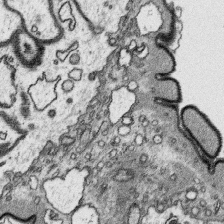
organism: Platynereis dumerilii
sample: Parapodia